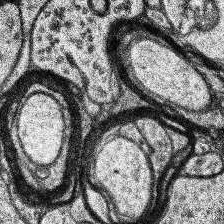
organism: Human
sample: Temporal Lobe